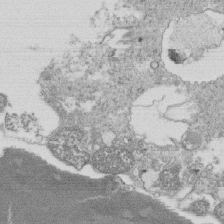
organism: Tetrahymena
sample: Cilia in tetrahymena